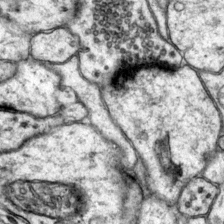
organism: Mouse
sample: Primary visual cortex